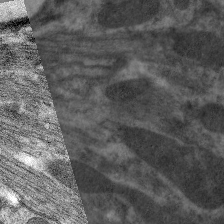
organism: C. elegans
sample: Pharynx